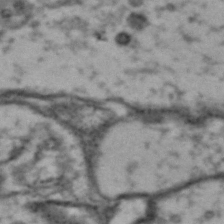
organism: Drosophila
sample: Brain